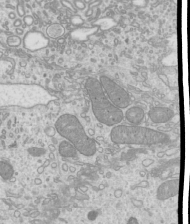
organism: Mouse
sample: Cilia; mouse epididymis